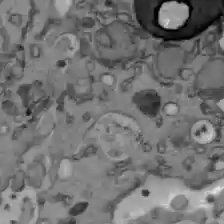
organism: C57BL Mouse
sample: Liver